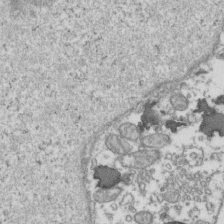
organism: Human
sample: Activated Jurkat CD4+ T cells